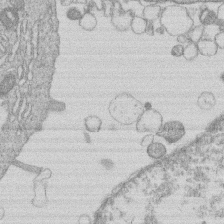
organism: Human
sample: Macrophage cells